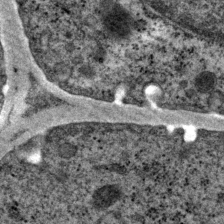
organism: P. pacificus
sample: Pharynx